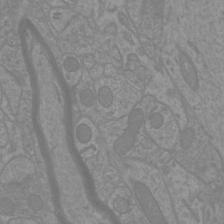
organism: Mouse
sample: Cortical neurons